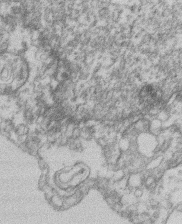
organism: Mouse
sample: T cell stromal cell synapse